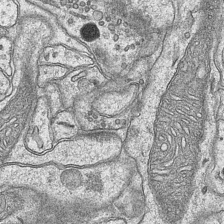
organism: Mouse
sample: CA1 Hippocampus